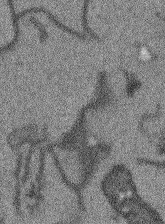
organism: Arabidopsis thaliana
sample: Root tip